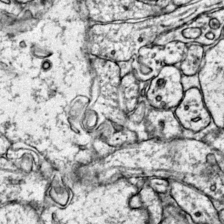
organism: Mouse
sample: Primary visual cortex